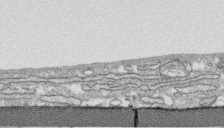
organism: Human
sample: CRL-1474